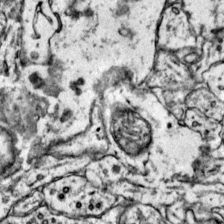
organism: Mouse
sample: Primary visual cortex